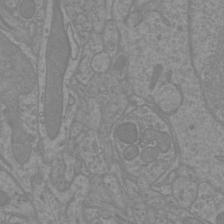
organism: Mouse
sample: Cortical neurons